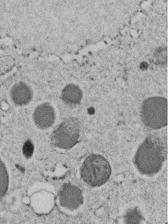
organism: C. elegans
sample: C. elegans embryo early stage